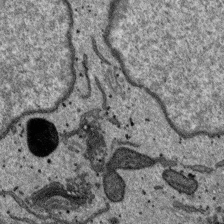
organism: Human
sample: Lung epithelial cells, uninfected (mock) control